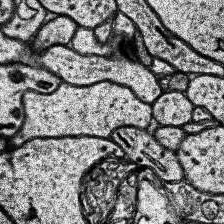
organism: Human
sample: Temporal Lobe